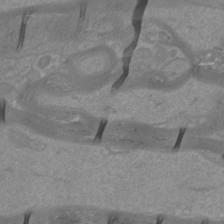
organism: Mouse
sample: Cortical neurons